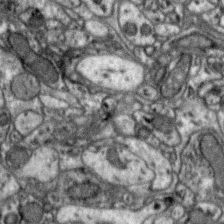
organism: Zebra finch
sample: Brain